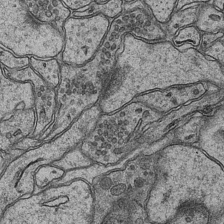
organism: Mouse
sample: CA1 Hippocampus